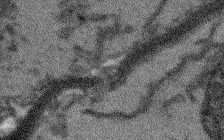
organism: Arabidopsis thaliana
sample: Root tip